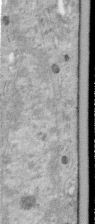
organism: Human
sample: Centriole in RPE cells